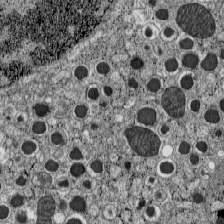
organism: C57BL Mouse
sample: Pancreatic islet